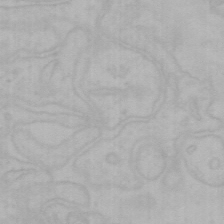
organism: Mouse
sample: Choroid plexus